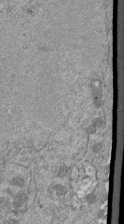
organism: Mouse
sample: ED-1 cell nuclei; centrioles